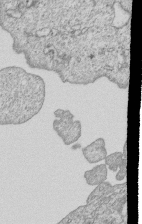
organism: Human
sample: MDA-MB-231 cells